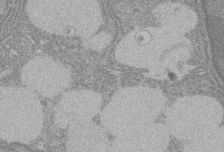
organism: Rat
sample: Salivary granule